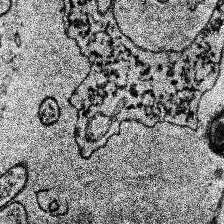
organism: Human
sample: Temporal Lobe